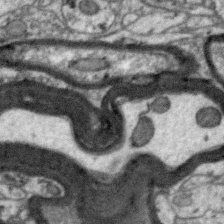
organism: Zebra finch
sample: Brain